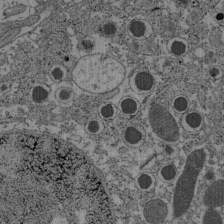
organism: C57BL Mouse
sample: Pancreatic islet